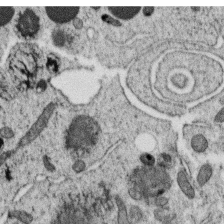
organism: C. elegans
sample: C. elegans oocyte; sperm cells